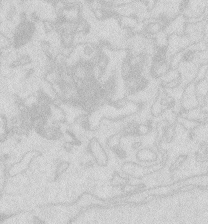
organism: Zebrafish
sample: Macrophage